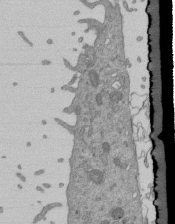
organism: Mouse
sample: ED-1 cell nuclei; centrioles